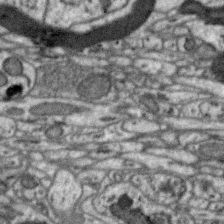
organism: Zebra finch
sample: Brain